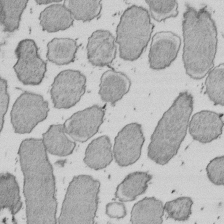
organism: E. coli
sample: Bacterial nucleoid